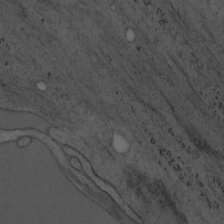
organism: Mouse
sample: OT-I killer T cells with ID8 ovarian cancer cells